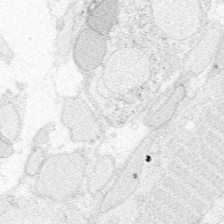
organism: Zebrafish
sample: Whole-Brain